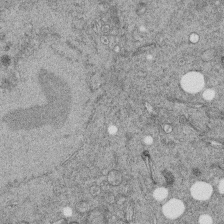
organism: C. elegans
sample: C. elegans embryo early stage